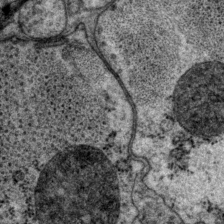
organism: P. pacificus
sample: Pharynx